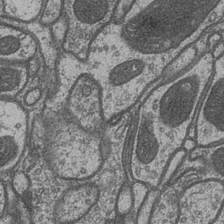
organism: Drosophila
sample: Optic medulla